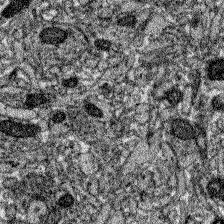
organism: Zebrafish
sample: Larval olfactory bulb